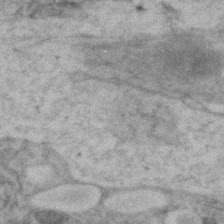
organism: Zebrafish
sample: Zebrafish embryo